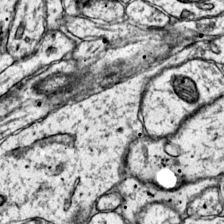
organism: Mouse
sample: Primary visual cortex